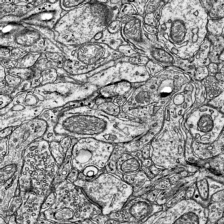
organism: Mouse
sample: Visual Cortex